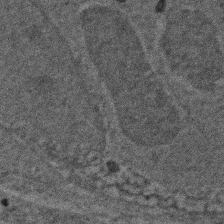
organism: Zebrafish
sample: Zebrafish embryo